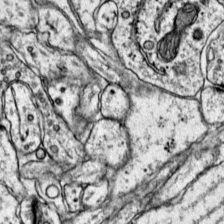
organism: Mouse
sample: Primary visual cortex